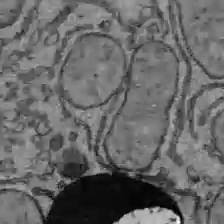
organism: C57BL Mouse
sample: Liver